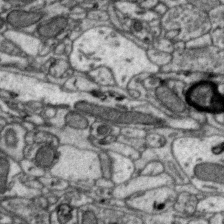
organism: Zebra finch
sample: Brain